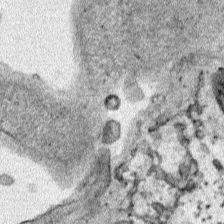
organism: Human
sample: Mitochondria in HCT116 cells